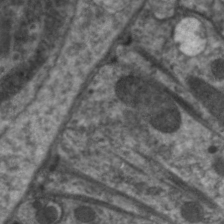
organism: C. elegans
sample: Pharynx